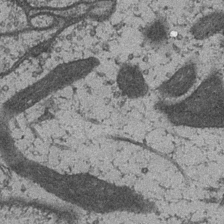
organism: Drosophila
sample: Optic medulla